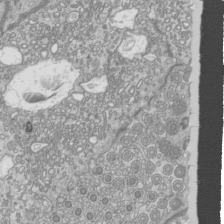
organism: Mouse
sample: Cilia; mouse epididymis